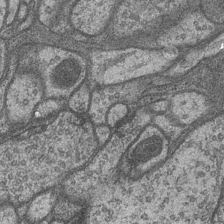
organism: Drosophila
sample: Optic medulla